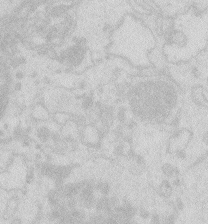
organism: Zebrafish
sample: Macrophage